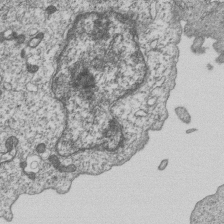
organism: Human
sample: MDA-MB-231 cells